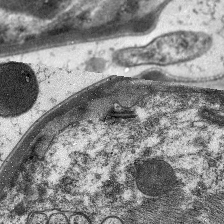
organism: C. elegans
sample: Pharynx